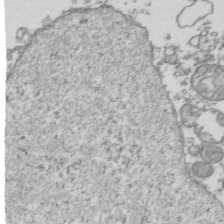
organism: Human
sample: Activated Jurkat CD4+ T cells